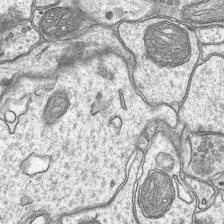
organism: Mouse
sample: CA1 Hippocampus